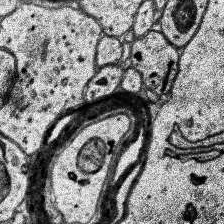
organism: Human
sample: Temporal Lobe